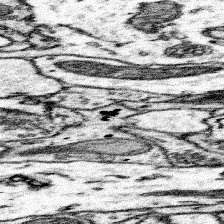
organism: Mouse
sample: Somatosensory cortex neuropil